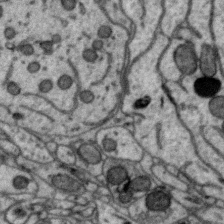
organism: Zebra finch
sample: Brain